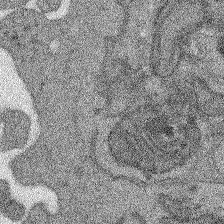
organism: Human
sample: HeLa cells